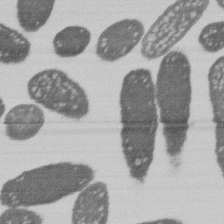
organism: E. coli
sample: Bacterial nucleoid